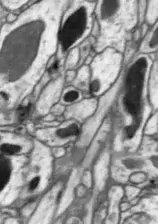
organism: Drosophila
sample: Optic lobe